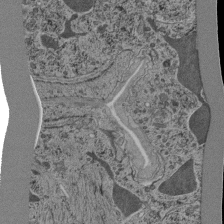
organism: C. elegans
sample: C. elegans pharynx